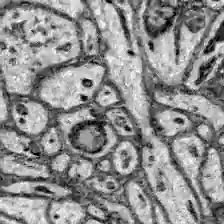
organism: Zebrafish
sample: Brain